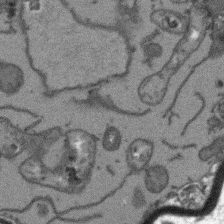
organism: Arabidopsis thaliana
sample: Root tip